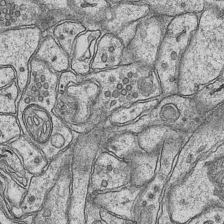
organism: Mouse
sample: CA1 Hippocampus